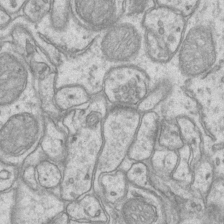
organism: Mouse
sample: CA1 Hippocampus